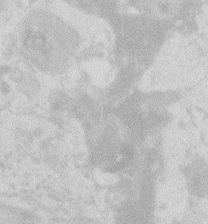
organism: Zebrafish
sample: Macrophage